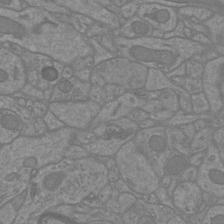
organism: Mouse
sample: Cortical neurons